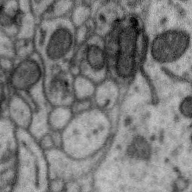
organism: Zebra finch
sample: Brain